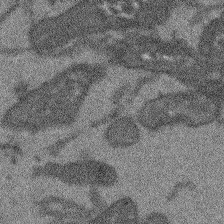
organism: Arabidopsis thaliana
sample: Root tip